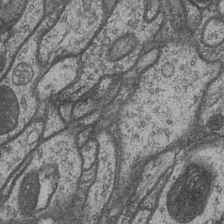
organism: Drosophila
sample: Optic medulla